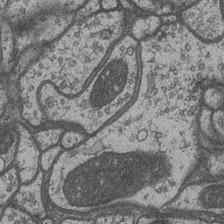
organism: Drosophila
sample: Optic medulla